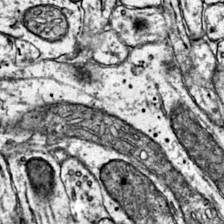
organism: Mouse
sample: Primary visual cortex